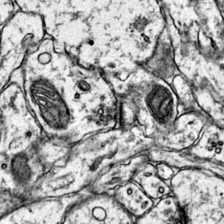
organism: Mouse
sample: Primary visual cortex